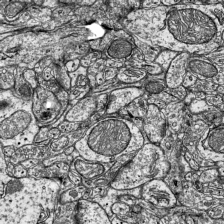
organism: Mouse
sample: Visual Cortex